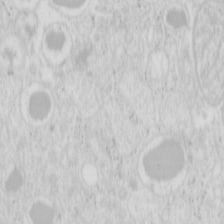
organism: Mouse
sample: Pancreas